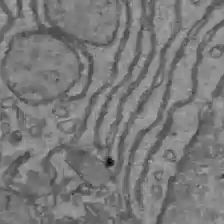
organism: C57BL Mouse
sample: Liver